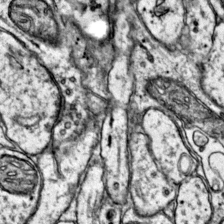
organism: Mouse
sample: Primary visual cortex